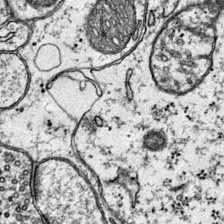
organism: Mouse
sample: Primary visual cortex